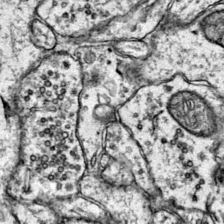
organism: Mouse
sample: Primary visual cortex